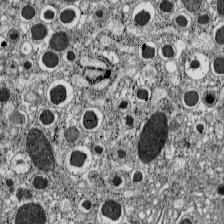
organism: C57BL Mouse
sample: Pancreatic islet